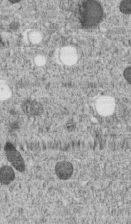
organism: C. elegans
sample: C. elegans embryo early stage